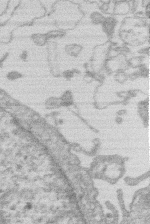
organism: Human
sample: Macrophage cells